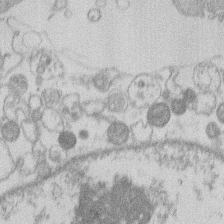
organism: Human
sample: Macrophage cells